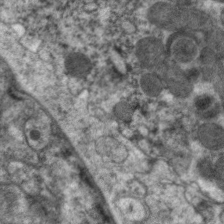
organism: C. elegans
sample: Pharynx